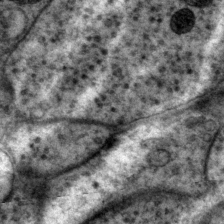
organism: P. pacificus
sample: Pharynx